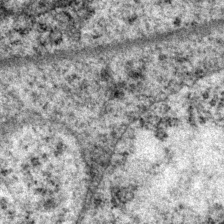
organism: P. pacificus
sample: Pharynx